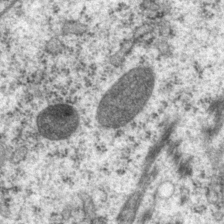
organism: P. pacificus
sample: Pharynx